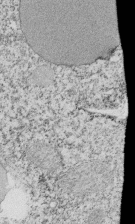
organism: Tetrahymena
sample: Cilia in tetrahymena